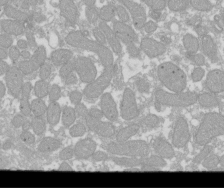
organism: Xenopus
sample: Cilia; centrioles in frog embryo cells